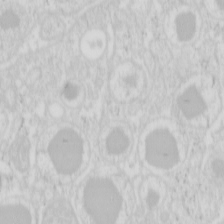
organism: Mouse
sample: Pancreas